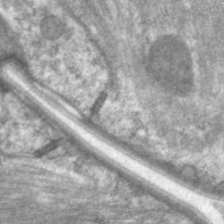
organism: C. elegans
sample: Pharynx